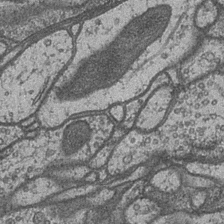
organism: Drosophila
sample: Optic medulla